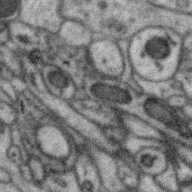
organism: Zebra finch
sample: Brain